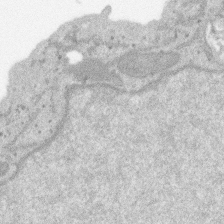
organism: Human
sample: Lung epithelial cells infected with SARS-CoV-2